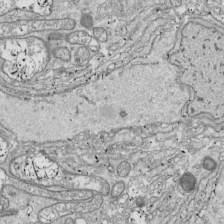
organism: Drosophila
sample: Cell division; meiosis; drosophila spermatocytes